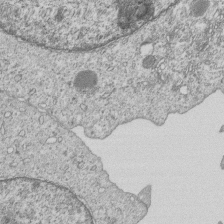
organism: Human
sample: MDA-MB-231 cells